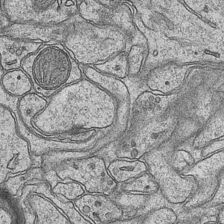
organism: Mouse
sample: CA1 Hippocampus